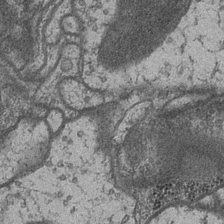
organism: Drosophila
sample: Optic medulla